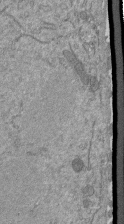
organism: Mouse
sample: ED-1 cell nuclei; centrioles